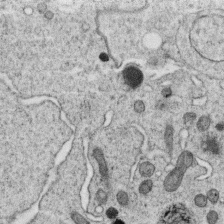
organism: C. elegans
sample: C. elegans oocyte; sperm cells